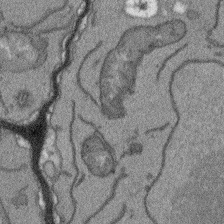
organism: Arabidopsis thaliana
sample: Root tip